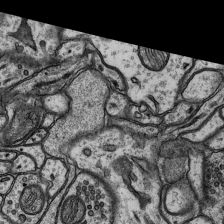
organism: Rat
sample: Hippocampus